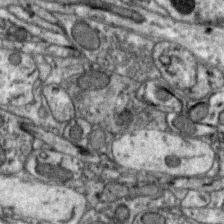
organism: Zebra finch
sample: Brain